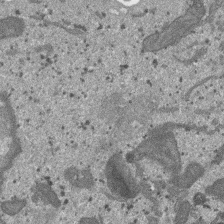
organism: Human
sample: Lung epithelial cells infected with SARS-CoV-2